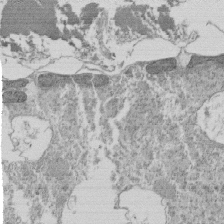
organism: Tetrahymena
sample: Cilia in tetrahymena